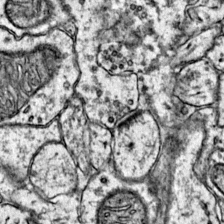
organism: Mouse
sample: Primary visual cortex